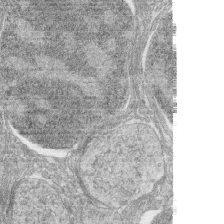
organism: Zebrafish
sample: synaptic ribbons in rod cells and cone cells